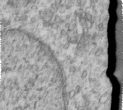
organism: Human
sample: Centriole in RPE cells